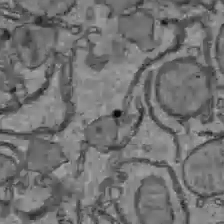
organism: C57BL Mouse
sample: Liver